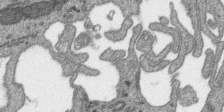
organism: Human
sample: Lung epithelial cells infected with SARS-CoV-2